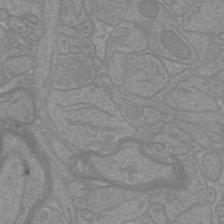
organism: Mouse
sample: Cortical neurons